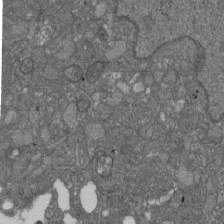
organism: Drosophila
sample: Nephrocyte